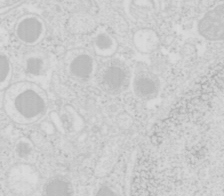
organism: Mouse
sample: Pancreas